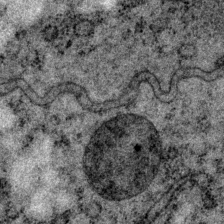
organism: P. pacificus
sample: Pharynx